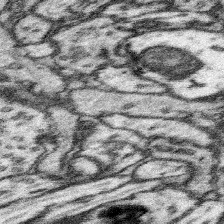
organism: Mouse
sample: Somatosensory cortex neuropil